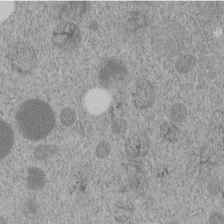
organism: C. elegans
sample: C. elegans embryo early stage